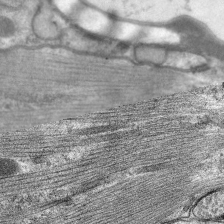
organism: C. elegans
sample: Pharynx